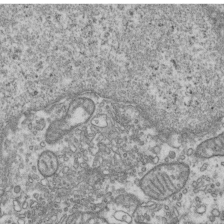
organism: Human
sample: Activated Jurkat CD4+ T cells